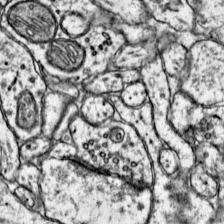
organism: Mouse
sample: Primary visual cortex